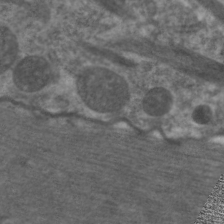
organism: C. elegans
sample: Pharynx